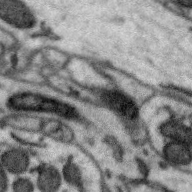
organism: Zebra finch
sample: Brain